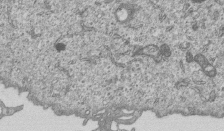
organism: Human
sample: MDA-MB-231 cells